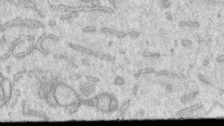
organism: Human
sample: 1205lu cells